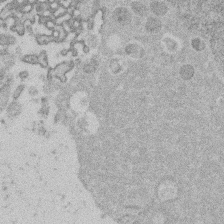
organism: Mouse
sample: Dividing mouse embryo 1 cell stage